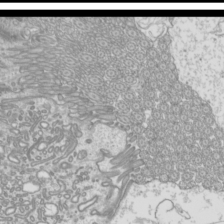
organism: Mouse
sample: Cilia; mouse epididymis